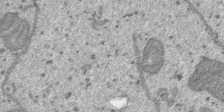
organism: Human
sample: Lung epithelial cells infected with SARS-CoV-2